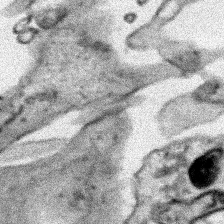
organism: Human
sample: Mitochondria in HCT116 cells